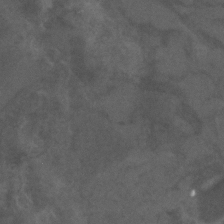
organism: C. elegans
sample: C. elegans embryo